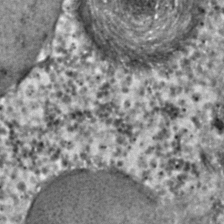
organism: C. elegans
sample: C. elegans embryo